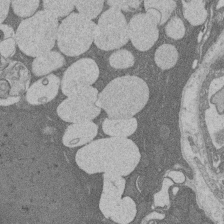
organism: Rat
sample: Salivary granule